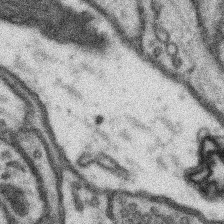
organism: Mouse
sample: Somatosensory cortex neuropil